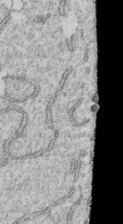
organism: Human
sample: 1205lu cells